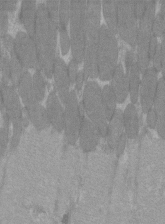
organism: C57BL Mouse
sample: Tibialis anterior muscle cell